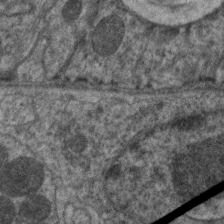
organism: C. elegans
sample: Pharynx